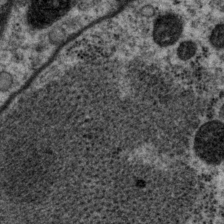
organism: P. pacificus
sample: Pharynx